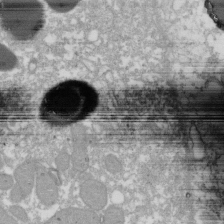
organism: Xenopus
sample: Cilia; centrioles in frog embryo cells